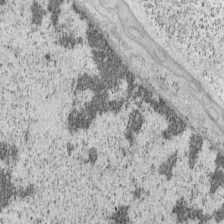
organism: Mouse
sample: OT-I killer T cells with ID8 ovarian cancer cells